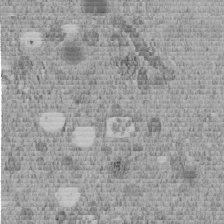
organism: C. elegans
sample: C. elegans embryo early stage